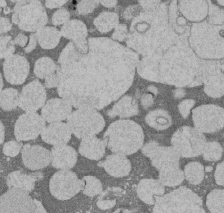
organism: Rat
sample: Salivary granule